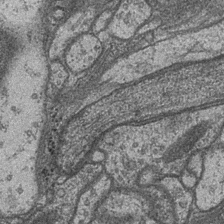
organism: Drosophila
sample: Optic medulla